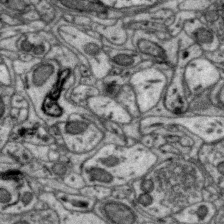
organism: Zebra finch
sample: Brain